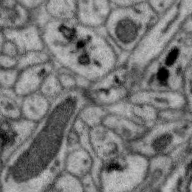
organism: Zebra finch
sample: Brain